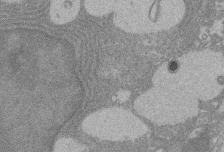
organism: Rat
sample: Salivary granule